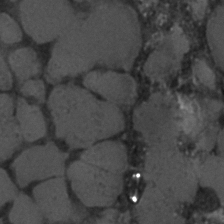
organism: C. elegans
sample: C. elegans embryo